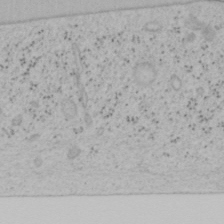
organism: Human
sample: HeLa cells